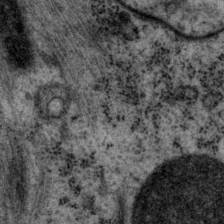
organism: P. pacificus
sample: Pharynx